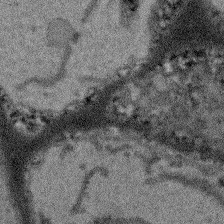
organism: Arabidopsis thaliana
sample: Root tip